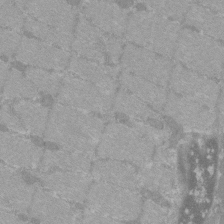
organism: C57BL Mouse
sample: Tibialis anterior muscle cell